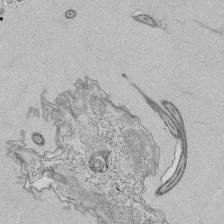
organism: Tetrahymena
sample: Cilia in tetrahymena